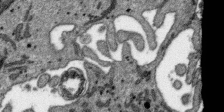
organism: Human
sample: Lung epithelial cells, uninfected (mock) control